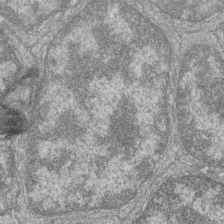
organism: Zebrafish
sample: Cilia; retinal pigment epithelium